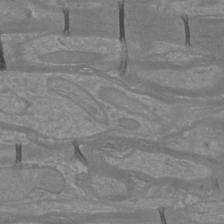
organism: Mouse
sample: Cortical neurons